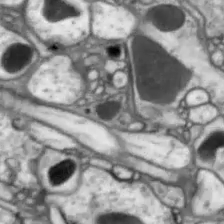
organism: Drosophila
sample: Optic lobe